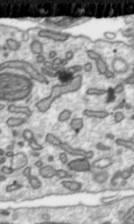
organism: Toxoplasma gondii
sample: Parasites in a vacuole inside a host cell